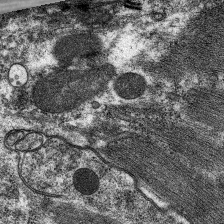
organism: C. elegans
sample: Pharynx